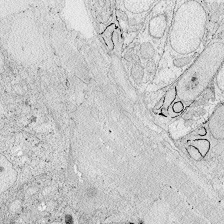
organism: Zebrafish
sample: Whole-Brain